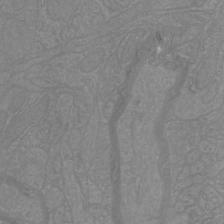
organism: Mouse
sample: Cortical neurons